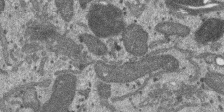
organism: Human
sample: Lung epithelial cells infected with SARS-CoV-2